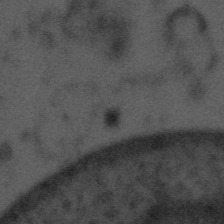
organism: Tuwongella immobilis